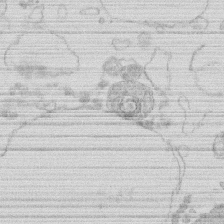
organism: Human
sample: Macrophage cells